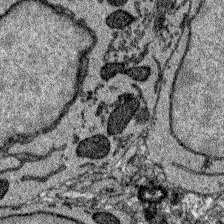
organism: Zebrafish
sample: Larval olfactory bulb